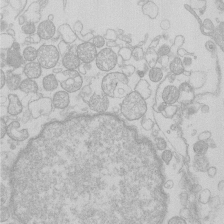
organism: Human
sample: Macrophage cells